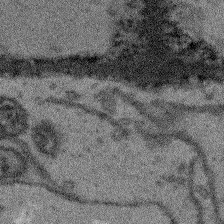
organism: Arabidopsis thaliana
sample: Root tip